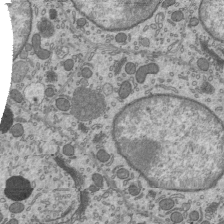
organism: Mouse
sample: Mouse epididymis efferent ductule cilia